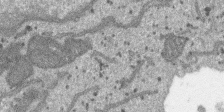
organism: Human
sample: Lung epithelial cells infected with SARS-CoV-2